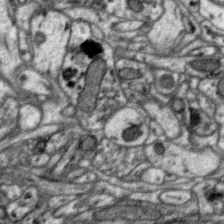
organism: Zebra finch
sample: Brain